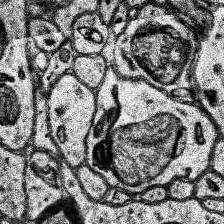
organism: Human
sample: Temporal Lobe